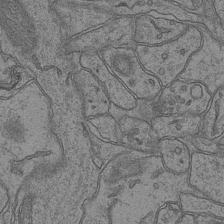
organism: Mouse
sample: CA1 Hippocampus